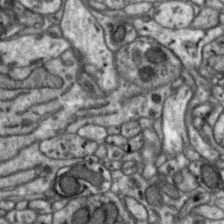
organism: Zebra finch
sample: Brain